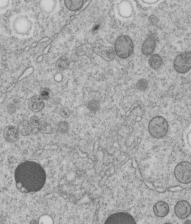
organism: C. elegans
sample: C. elegans embryo early stage